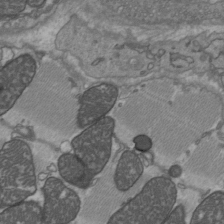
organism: C57BL Mouse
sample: Heart